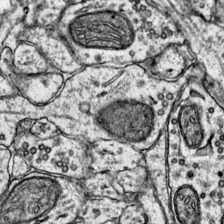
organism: Mouse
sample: Primary visual cortex